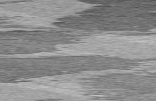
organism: C57BL Mouse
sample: Heart